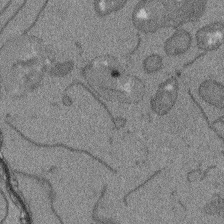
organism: Arabidopsis thaliana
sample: Root tip